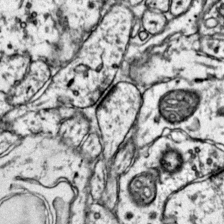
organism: Mouse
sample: Primary visual cortex